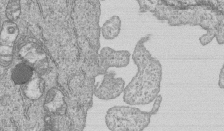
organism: Human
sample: MDA-MB-231 cells